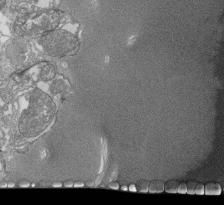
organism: Tetrahymena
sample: Cilia in tetrahymena